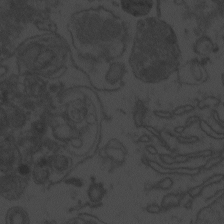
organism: Zebrafish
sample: Macrophage infected with Toxoplasma gondii